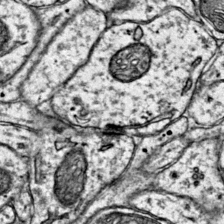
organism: Mouse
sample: Primary visual cortex